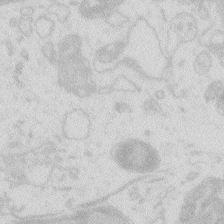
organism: Zebrafish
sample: Macrophage